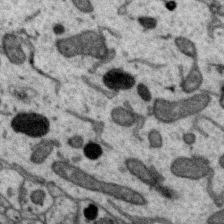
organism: Zebra finch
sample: Brain